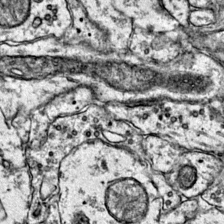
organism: Mouse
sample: Primary visual cortex